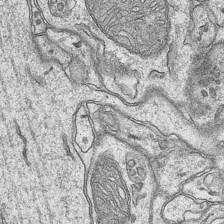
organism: Mouse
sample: CA1 Hippocampus